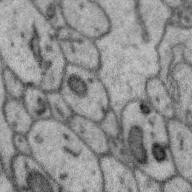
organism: Zebra finch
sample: Brain